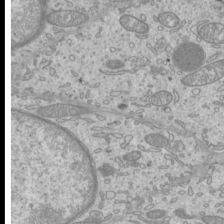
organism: Mouse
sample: Cilia; mouse epididymis